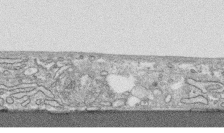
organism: Human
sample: CRL-1474